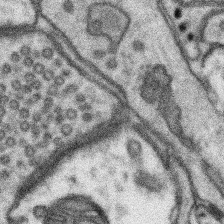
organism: Mouse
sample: Somatosensory cortex neuropil